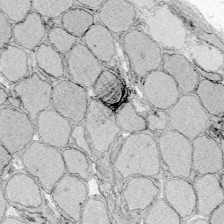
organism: Zebrafish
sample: Whole-Brain